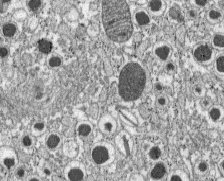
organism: C57BL Mouse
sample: Pancreatic islet